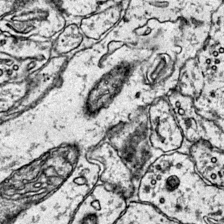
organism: Mouse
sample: Primary visual cortex